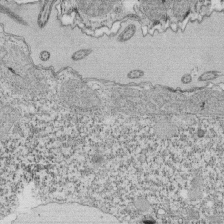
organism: Tetrahymena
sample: Cilia in tetrahymena